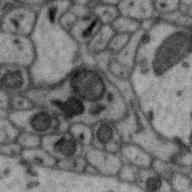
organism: Zebra finch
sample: Brain